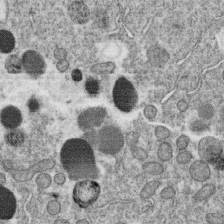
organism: C. elegans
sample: C. elegans oocyte; sperm cells